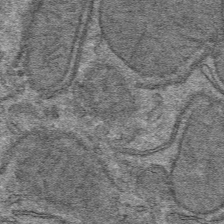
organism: Mouse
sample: Mouse hepatocytes